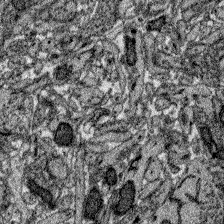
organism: Zebrafish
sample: Larval olfactory bulb